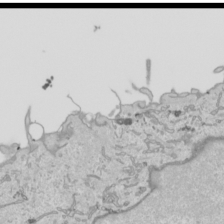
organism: Human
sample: Mitochondria in HCT116 cells